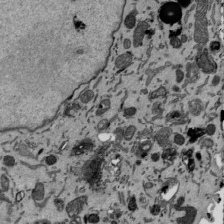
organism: Mouse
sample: ED-1 cell nuclei; centrioles